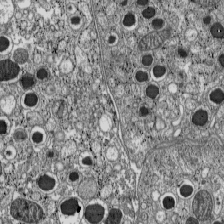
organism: C57BL Mouse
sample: Pancreatic islet